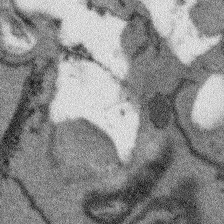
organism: Arabidopsis thaliana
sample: Root tip